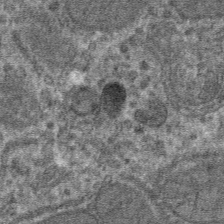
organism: Mouse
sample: Mouse hepatocytes